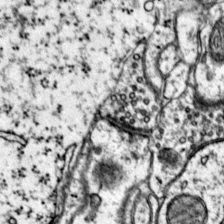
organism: Mouse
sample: Primary visual cortex